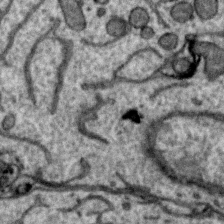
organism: Zebra finch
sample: Brain